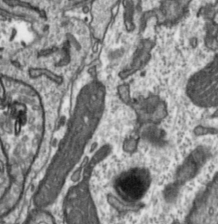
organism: Toxoplasma gondii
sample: Parasites in a vacuole inside a host cell